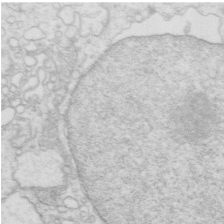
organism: Mouse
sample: Multiciliated cells